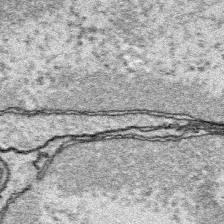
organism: Platynereis dumerilii